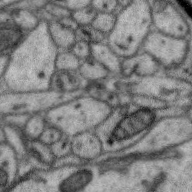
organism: Zebra finch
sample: Brain